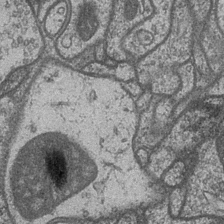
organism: Drosophila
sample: Optic medulla